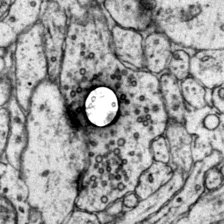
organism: Mouse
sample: Primary visual cortex